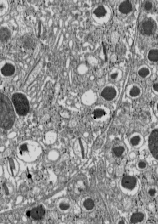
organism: C57BL Mouse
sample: Pancreatic islet